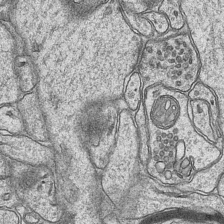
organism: Mouse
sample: CA1 Hippocampus